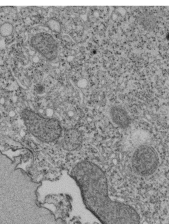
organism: Tetrahymena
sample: Cilia in tetrahymena